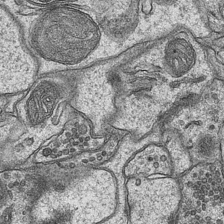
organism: Mouse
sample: CA1 Hippocampus